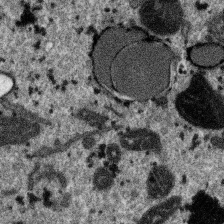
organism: Human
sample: Lung epithelial cells infected with SARS-CoV-2